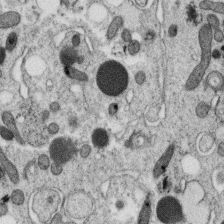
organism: C. elegans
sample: C. elegans oocyte; sperm cells